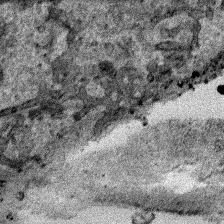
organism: Human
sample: Mitochondria in HCT116 cells